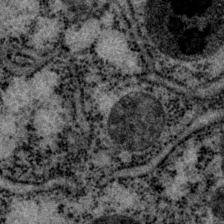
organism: P. pacificus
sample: Pharynx